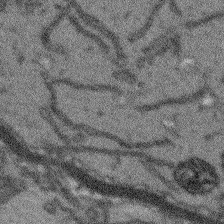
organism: Arabidopsis thaliana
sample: Root tip